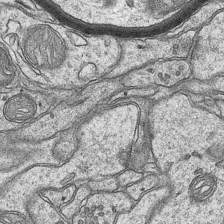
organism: Mouse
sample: CA1 Hippocampus